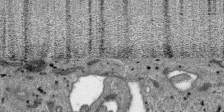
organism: Human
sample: Lung epithelial cells, uninfected (mock) control